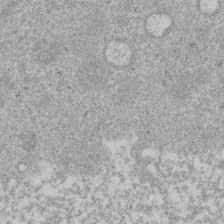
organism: Mouse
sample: Dividing mouse embryo 1 cell stage